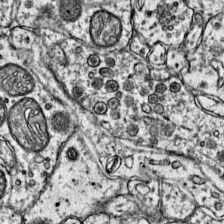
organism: Mouse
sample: Primary visual cortex